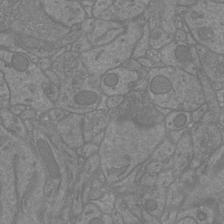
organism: Mouse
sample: Cortical neurons